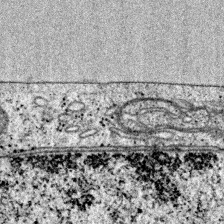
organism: Human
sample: HeLa cells